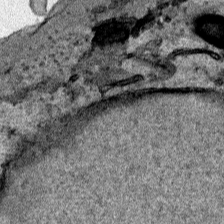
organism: Human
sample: Mitochondria in HCT116 cells